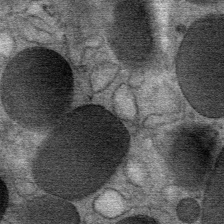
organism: Mouse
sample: Mouse Salivary gland